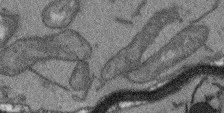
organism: Arabidopsis thaliana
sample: Root tip